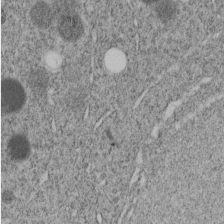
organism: C. elegans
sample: C. elegans embryo early stage